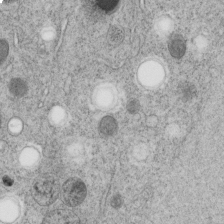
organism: C. elegans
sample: C. elegans embryo early stage